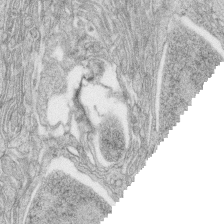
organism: Zebrafish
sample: synaptic ribbons in rod cells and cone cells